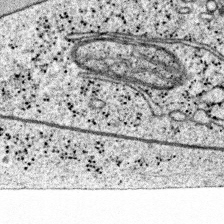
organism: Human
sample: HeLa cells